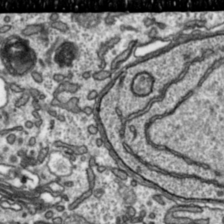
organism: Toxoplasma gondii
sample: Parasites in a vacuole inside a host cell